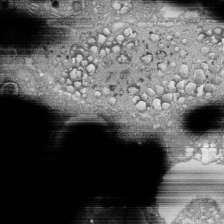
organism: Tetrahymena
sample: Cilia in tetrahymena